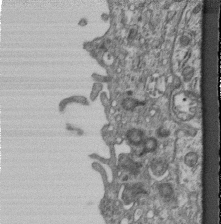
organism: Mouse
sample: Centriole in ependymal cells